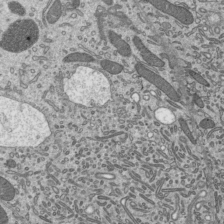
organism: Mouse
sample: Mouse epididymis efferent ductule cilia